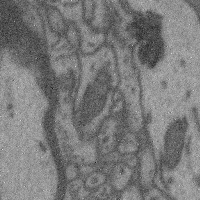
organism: Mouse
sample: Cerebral cortex